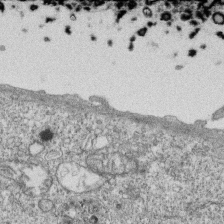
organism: Human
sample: HeLa cell HIV synapse